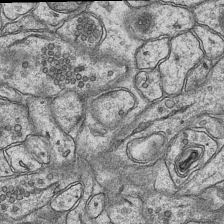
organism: Mouse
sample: CA1 Hippocampus